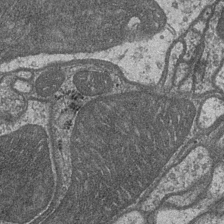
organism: Drosophila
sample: Optic medulla